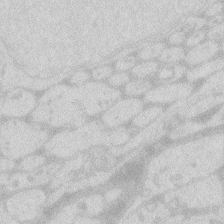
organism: Zebrafish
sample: Macrophage